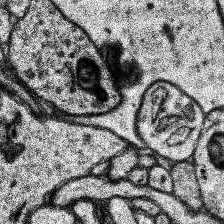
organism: Human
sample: Temporal Lobe